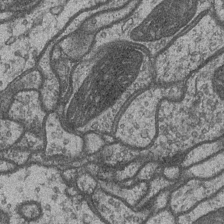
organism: Drosophila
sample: Optic medulla